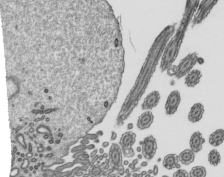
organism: Mouse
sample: Mouse epididymis efferent ductule cilia